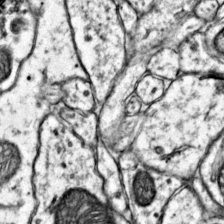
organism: Mouse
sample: Primary visual cortex